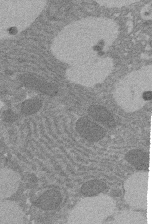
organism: Rat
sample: Salivary granule